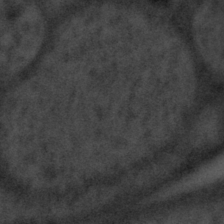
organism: Tuwongella immobilis